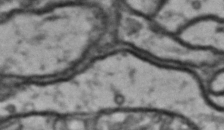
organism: Drosophila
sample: Brain